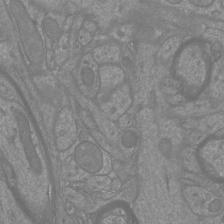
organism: Mouse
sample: Cortical neurons